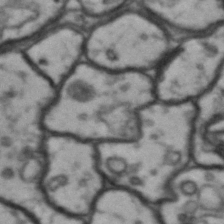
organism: Drosophila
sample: Brain